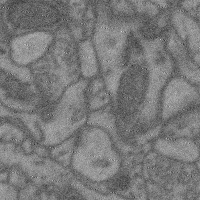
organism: Mouse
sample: Cerebral cortex